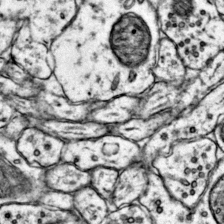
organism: Mouse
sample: Primary visual cortex